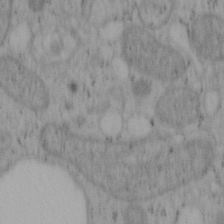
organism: Mouse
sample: OT-I killer T cells with ID8 ovarian cancer cells